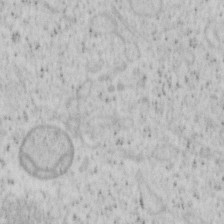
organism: Human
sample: HeLa cells